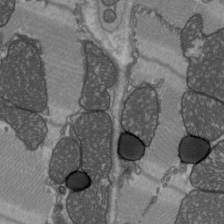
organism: C57BL Mouse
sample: Heart